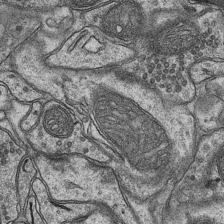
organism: Mouse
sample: CA1 Hippocampus